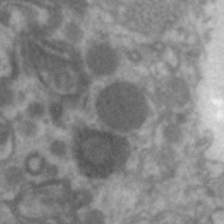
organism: C. elegans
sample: Pharynx